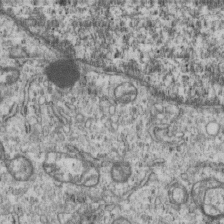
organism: Human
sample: MDA-MB-231 cells